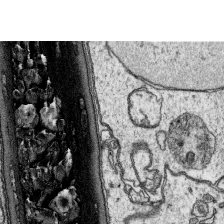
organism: Platynereis dumerilii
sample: Parapodia